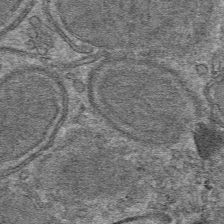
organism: Mouse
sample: Mouse hepatocytes